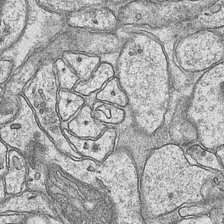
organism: Mouse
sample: CA1 Hippocampus